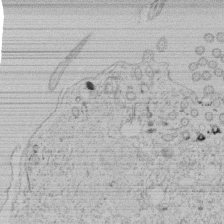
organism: Tetrahymena